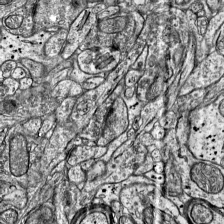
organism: Mouse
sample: Visual Cortex